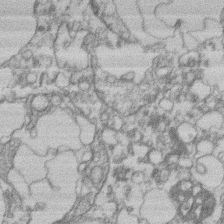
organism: Mouse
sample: T cell stromal cell synapse